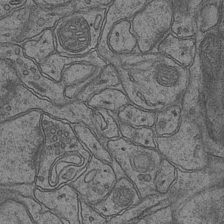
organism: Mouse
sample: CA1 Hippocampus